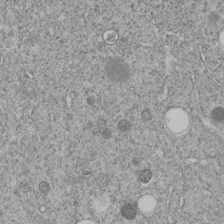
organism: C. elegans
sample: C. elegans embryo early stage